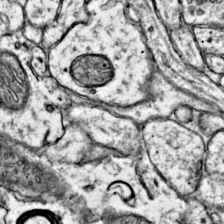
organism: Mouse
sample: Primary visual cortex